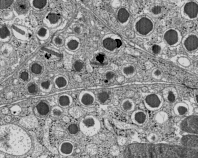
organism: C57BL Mouse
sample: Pancreatic islet